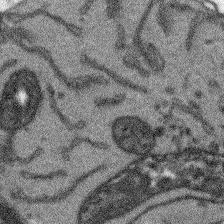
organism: Arabidopsis thaliana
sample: Root tip